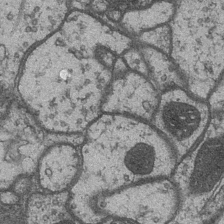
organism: Drosophila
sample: Optic medulla